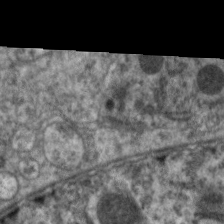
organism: C. elegans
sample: Pharynx